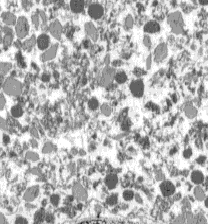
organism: C57BL Mouse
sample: Pancreatic islet